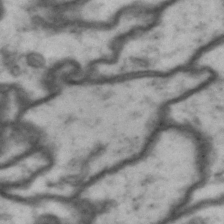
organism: Drosophila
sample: Brain